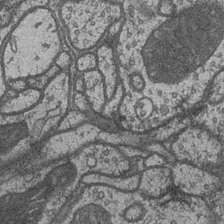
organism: Drosophila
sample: Optic medulla